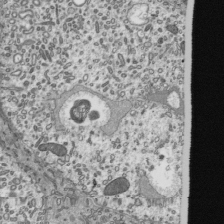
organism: Mouse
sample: Mouse epididymis efferent ductule cilia